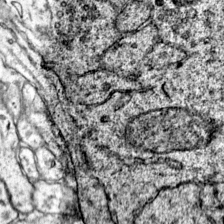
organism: Mouse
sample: Primary visual cortex